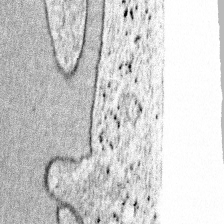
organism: Human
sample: HeLa cells